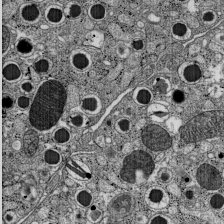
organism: C57BL Mouse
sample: Pancreatic islet